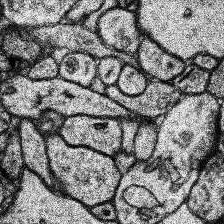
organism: Human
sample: Temporal Lobe